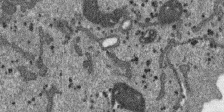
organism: Human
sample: Lung epithelial cells infected with SARS-CoV-2